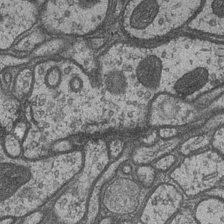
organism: Drosophila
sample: Optic medulla